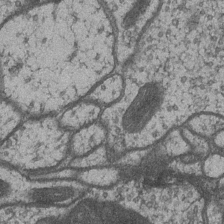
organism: Drosophila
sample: Optic medulla